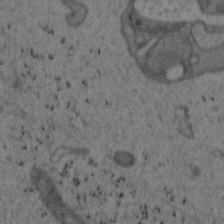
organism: Human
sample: HeLa cells